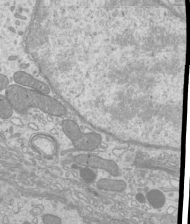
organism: Mouse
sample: Cilia; mouse epididymis